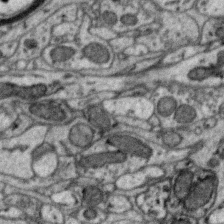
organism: Zebra finch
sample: Brain